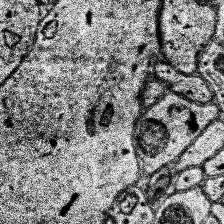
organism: Human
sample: Temporal Lobe